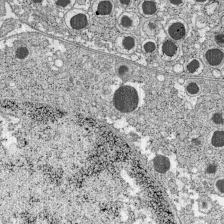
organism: C57BL Mouse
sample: Pancreatic islet